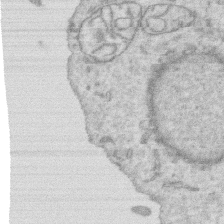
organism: Human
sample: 1205lu cells